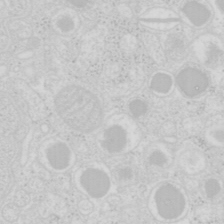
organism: Mouse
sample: Pancreas